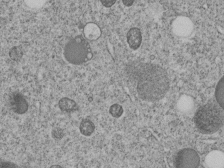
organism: C. elegans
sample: C. elegans embryo early stage